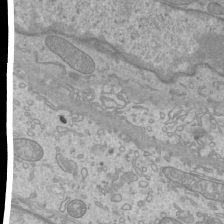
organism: Mouse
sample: Cilia; mouse epididymis